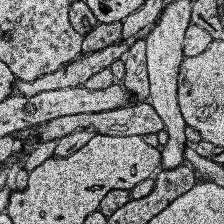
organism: Human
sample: Temporal Lobe